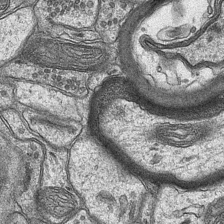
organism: Mouse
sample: CA1 Hippocampus